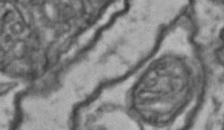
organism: Drosophila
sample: Brain